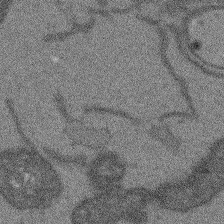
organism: Arabidopsis thaliana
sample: Root tip